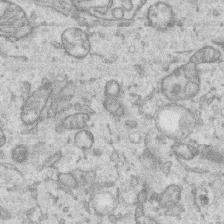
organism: Human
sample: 1205lu cells